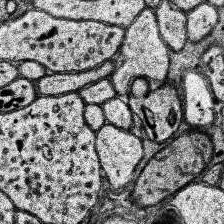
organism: Human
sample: Temporal Lobe